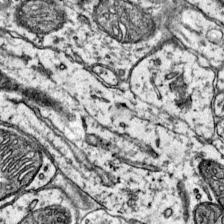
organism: Mouse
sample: Primary visual cortex